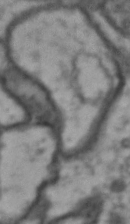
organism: Drosophila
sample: Brain